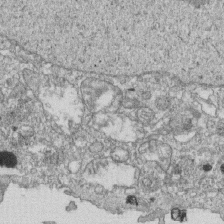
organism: Human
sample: HeLa cell HIV synapse